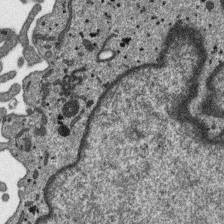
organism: Human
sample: Lung epithelial cells infected with SARS-CoV-2